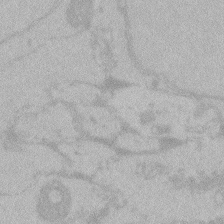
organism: Zebrafish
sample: Macrophage infected with Toxoplasma gondii